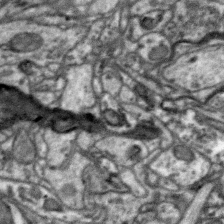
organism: Zebra finch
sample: Brain